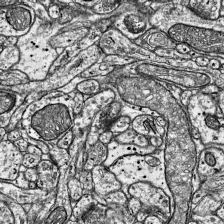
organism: Mouse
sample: Visual Cortex